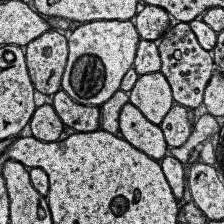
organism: Human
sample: Temporal Lobe